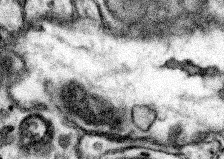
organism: Mouse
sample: Somatosensory cortex neuropil